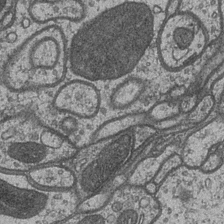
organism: Drosophila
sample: Optic medulla